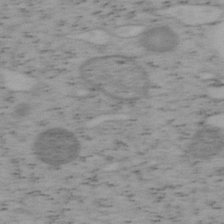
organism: Mouse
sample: OT-I killer T cells with ID8 ovarian cancer cells